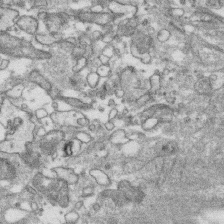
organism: Human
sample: CRL-1474